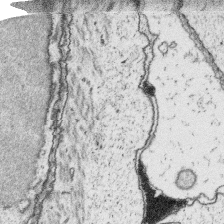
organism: Platynereis dumerilii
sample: Parapodia